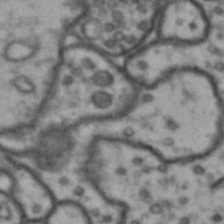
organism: Drosophila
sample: Brain